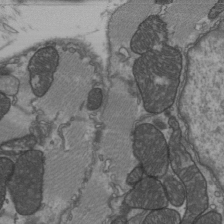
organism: C57BL Mouse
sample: Heart